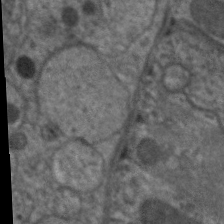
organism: C. elegans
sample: Pharynx